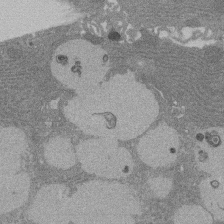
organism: Rat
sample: Salivary granule